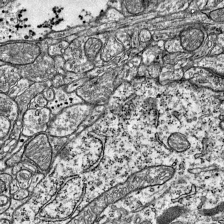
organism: Mouse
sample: Visual Cortex